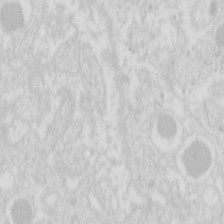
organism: Mouse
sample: Pancreas